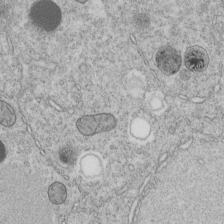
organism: C. elegans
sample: C. elegans embryo early stage